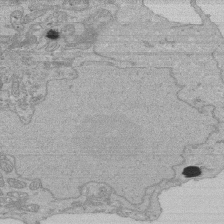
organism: Human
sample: Activated Jurkat CD4+ T cells